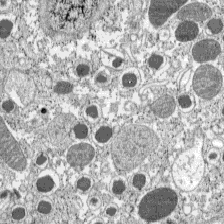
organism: C57BL Mouse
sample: Pancreatic islet